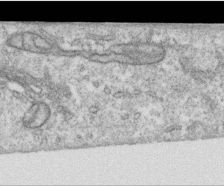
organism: Human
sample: Centriole in RPE cells